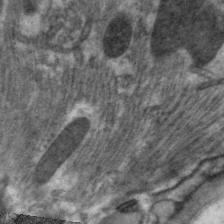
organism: C. elegans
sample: Pharynx